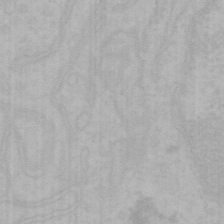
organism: Mouse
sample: Choroid plexus